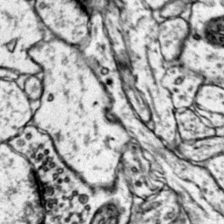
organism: Mouse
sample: Primary visual cortex